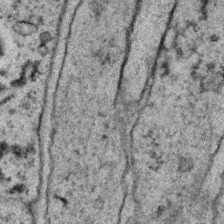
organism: C. elegans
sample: C. elegans embryo